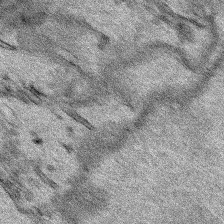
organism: Human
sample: Mitochondria in HCT116 cells